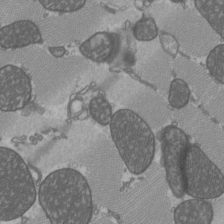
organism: C57BL Mouse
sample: Heart